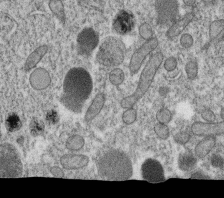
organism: C. elegans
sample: C. elegans oocyte; sperm cells